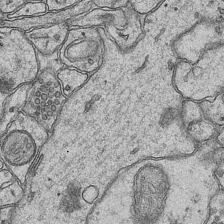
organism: Mouse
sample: CA1 Hippocampus